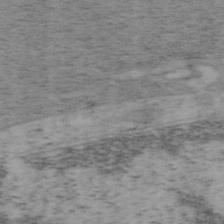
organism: Mouse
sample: OT-I killer T cells with ID8 ovarian cancer cells